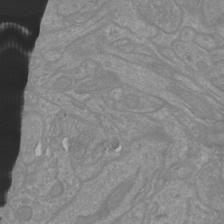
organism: Mouse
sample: Cortical neurons